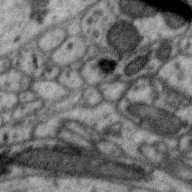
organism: Zebra finch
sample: Brain